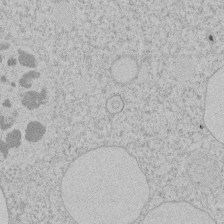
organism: Tetrahymena